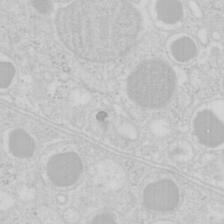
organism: Mouse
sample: Pancreas